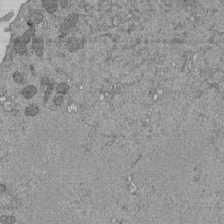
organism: Mouse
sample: ED-1 cell nuclei; centrioles